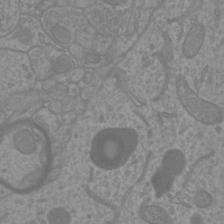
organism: Mouse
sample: Cortical neurons